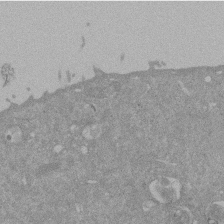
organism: Mouse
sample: ED-1 cell nuclei; centrioles